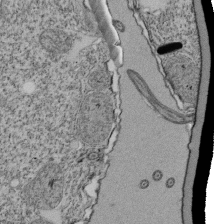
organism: Tetrahymena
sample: Cilia in tetrahymena